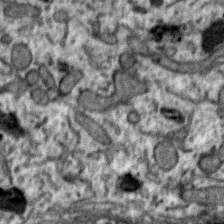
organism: Zebra finch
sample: Brain